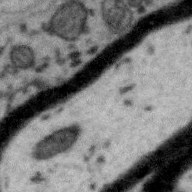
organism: Zebra finch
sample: Brain